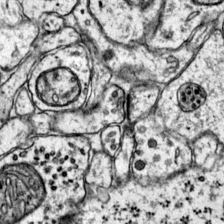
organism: Mouse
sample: Primary visual cortex